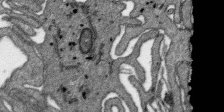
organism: Human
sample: Lung epithelial cells, uninfected (mock) control